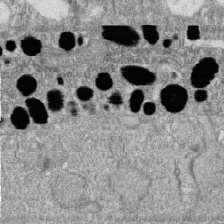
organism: Zebrafish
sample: Cilia; retinal pigment epithelium